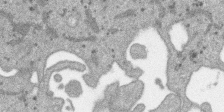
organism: Human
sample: Lung epithelial cells infected with SARS-CoV-2